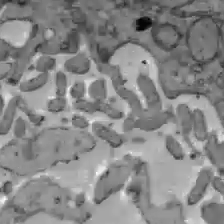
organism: C57BL Mouse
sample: Liver